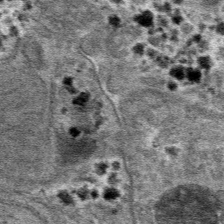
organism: Mouse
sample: Mouse hepatocytes